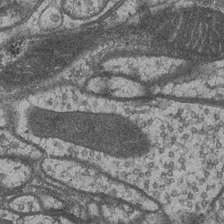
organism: Drosophila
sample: Optic medulla